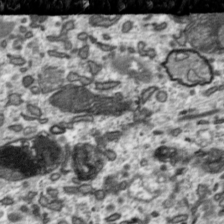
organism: Toxoplasma gondii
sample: Parasites in a vacuole inside a host cell